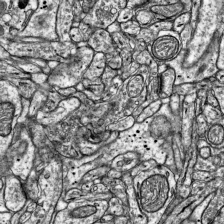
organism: Mouse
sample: Visual Cortex